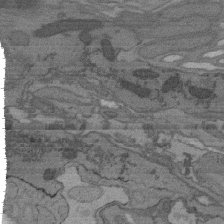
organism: C. elegans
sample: AFD neurons C. elegans